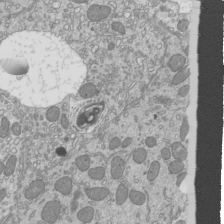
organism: Mouse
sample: Cilia; mouse epididymis